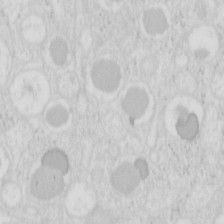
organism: Mouse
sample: Pancreas